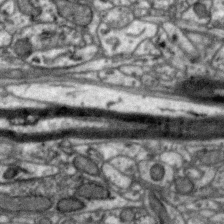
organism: Zebra finch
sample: Brain